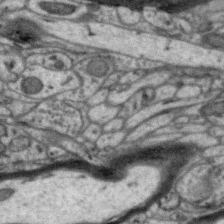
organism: Zebra finch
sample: Brain